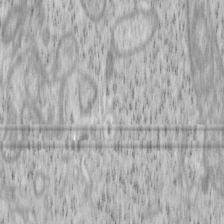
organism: Human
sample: HeLa cells